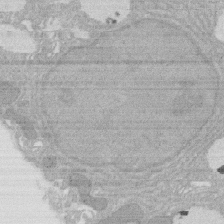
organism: Rat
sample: Salivary granule